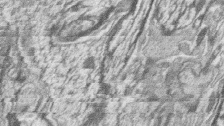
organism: Zebrafish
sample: synaptic ribbons in rod cells and cone cells